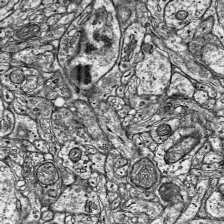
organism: Mouse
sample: Visual Cortex